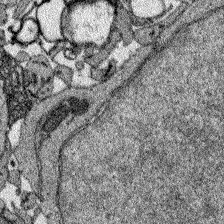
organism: Zebrafish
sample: Larval olfactory bulb